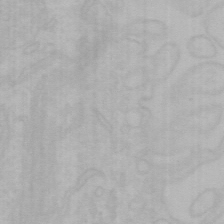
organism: Mouse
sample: Choroid plexus